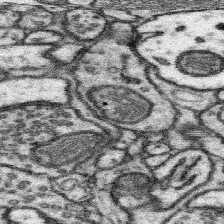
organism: Mouse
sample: Somatosensory cortex neuropil